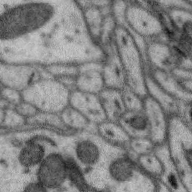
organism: Zebra finch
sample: Brain